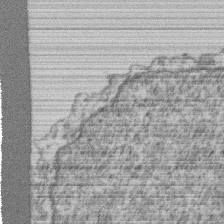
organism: Mouse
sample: T cell stromal cell synapse